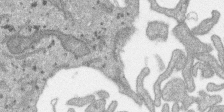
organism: Human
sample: Lung epithelial cells infected with SARS-CoV-2